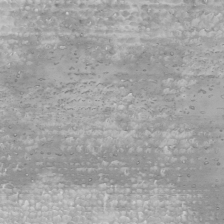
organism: Human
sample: Mitochondria in U2OS cells